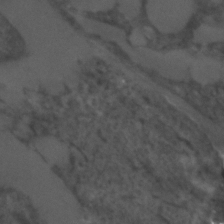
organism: C. elegans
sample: C. elegans embryo